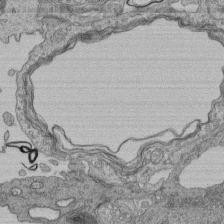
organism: Human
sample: Retinal organoid Rod and Cone cells